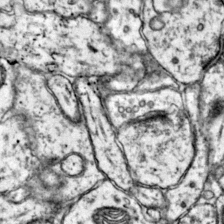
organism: Mouse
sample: Primary visual cortex